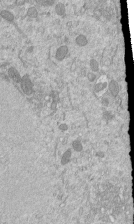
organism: Mouse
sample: ED-1 cell nuclei; centrioles